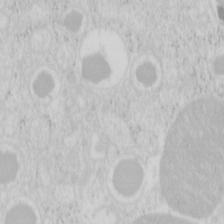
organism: Mouse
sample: Pancreas